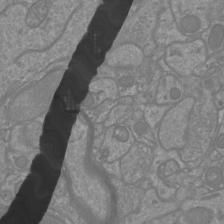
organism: Mouse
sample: Cortical neurons